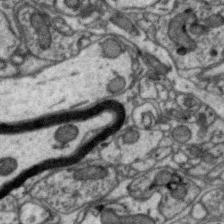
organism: Zebra finch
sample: Brain